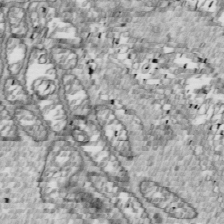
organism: Drosophila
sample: Cell division; meiosis; drosophila spermatocytes